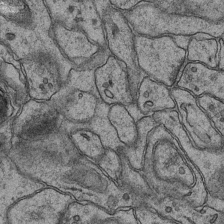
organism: Mouse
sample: CA1 Hippocampus